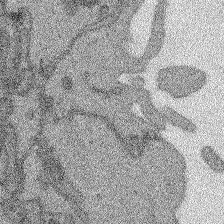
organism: Human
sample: HeLa cells